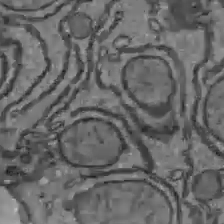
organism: C57BL Mouse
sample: Liver